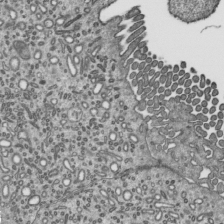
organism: Mouse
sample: Mouse epididymis efferent ductule cilia